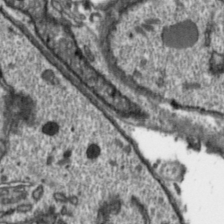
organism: Toxoplasma gondii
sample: Parasites in a vacuole inside a host cell